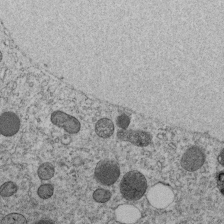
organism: C. elegans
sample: C. elegans embryo early stage